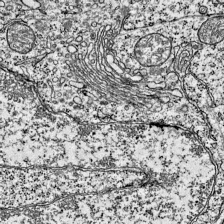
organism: Mouse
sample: Visual Cortex